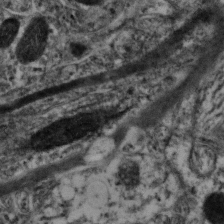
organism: Mouse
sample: Neocortex